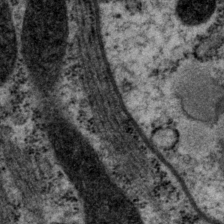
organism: P. pacificus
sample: Pharynx